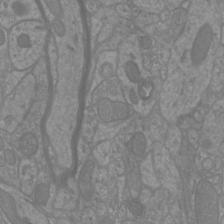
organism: Mouse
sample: Cortical neurons